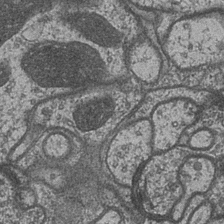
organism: Drosophila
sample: Optic medulla